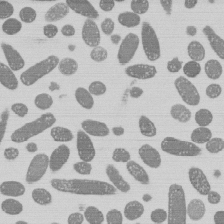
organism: E. coli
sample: Bacterial nucleoid